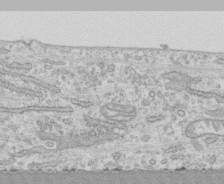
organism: Human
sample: CRL-1474